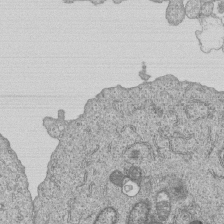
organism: Human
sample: MDA-MB-231 cells